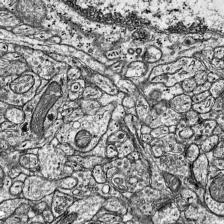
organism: Mouse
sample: Visual Cortex